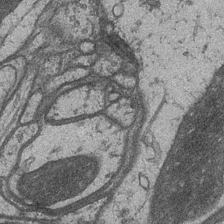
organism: Drosophila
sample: Optic medulla